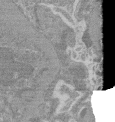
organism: Mouse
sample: Glomerulus